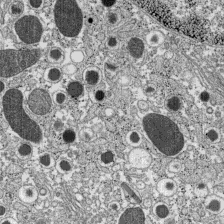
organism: C57BL Mouse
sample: Pancreatic islet